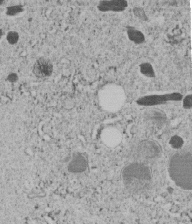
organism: C. elegans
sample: C. elegans embryo early stage